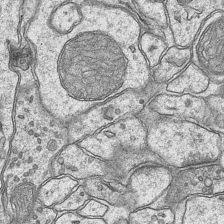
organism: Mouse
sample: CA1 Hippocampus